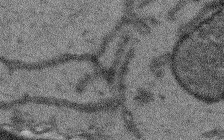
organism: Arabidopsis thaliana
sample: Root tip